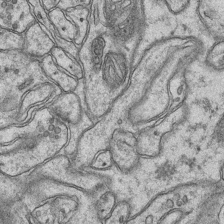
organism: Mouse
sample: CA1 Hippocampus